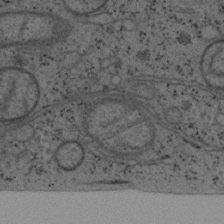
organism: Human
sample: HeLa cells